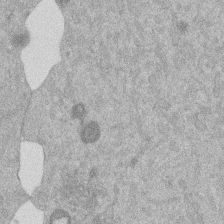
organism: Mouse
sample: Dividing mouse embryo 1 cell stage